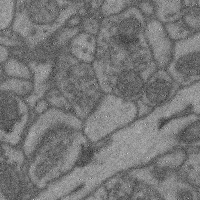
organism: Mouse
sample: Cerebral cortex